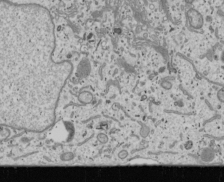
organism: Human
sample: Mitochondria in U2OS cells